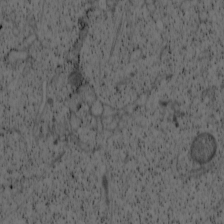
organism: African green monkey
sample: COS-7 cells